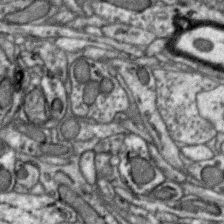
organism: Zebra finch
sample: Brain